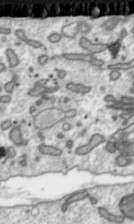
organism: Toxoplasma gondii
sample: Parasites in a vacuole inside a host cell